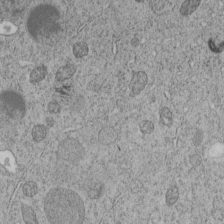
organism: C. elegans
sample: C. elegans embryo early stage